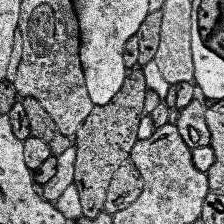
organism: Human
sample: Temporal Lobe